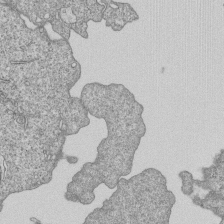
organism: Human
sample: MDA-MB-231 cells